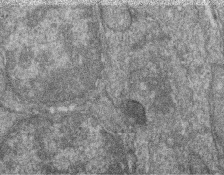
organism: Zebrafish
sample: Cilia; retinal pigment epithelium